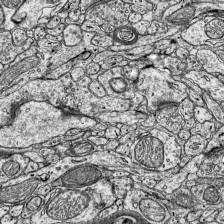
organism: Mouse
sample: Visual Cortex